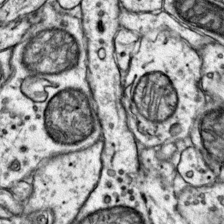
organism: Mouse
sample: Primary visual cortex